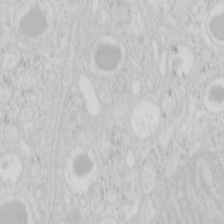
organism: Mouse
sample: Pancreas